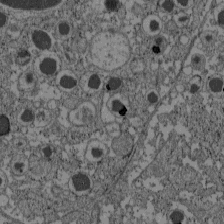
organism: C57BL Mouse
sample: Pancreatic islet